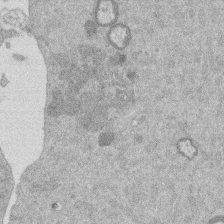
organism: Mouse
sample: Dividing mouse embryo 1 cell stage